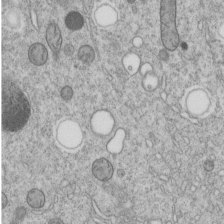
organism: C. elegans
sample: C. elegans embryo early stage